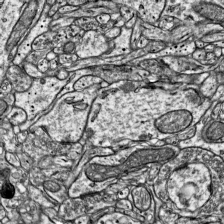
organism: Mouse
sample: Visual Cortex